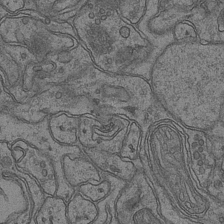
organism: Mouse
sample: CA1 Hippocampus